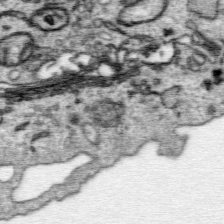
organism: Human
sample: HeLa cells